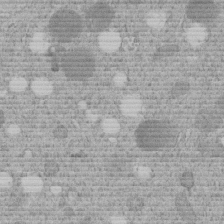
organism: C. elegans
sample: C. elegans embryo early stage